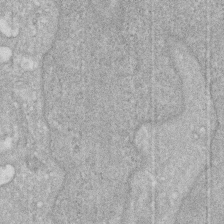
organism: Human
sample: HIV infected U937 cells